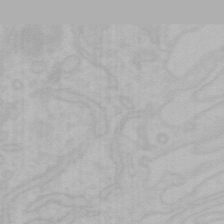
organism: Mouse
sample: Choroid plexus